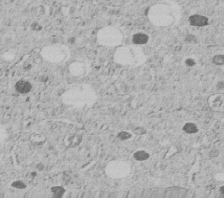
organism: C. elegans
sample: C. elegans embryo early stage